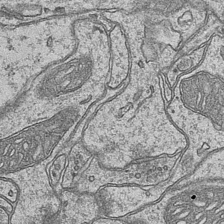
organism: Mouse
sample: CA1 Hippocampus